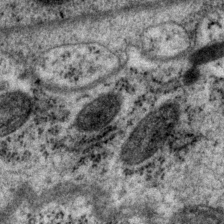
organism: P. pacificus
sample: Pharynx